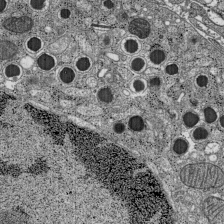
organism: C57BL Mouse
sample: Pancreatic islet